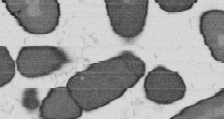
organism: B. subtilis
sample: Bacterial spore